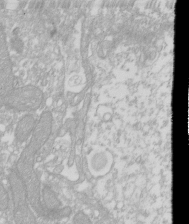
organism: Xenopus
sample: Cilia; centrioles in frog embryo cells